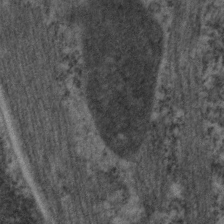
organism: C. elegans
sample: Pharynx